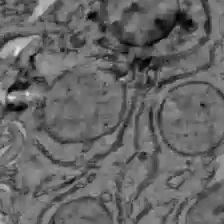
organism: C57BL Mouse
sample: Liver